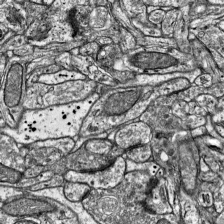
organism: Mouse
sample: Visual Cortex